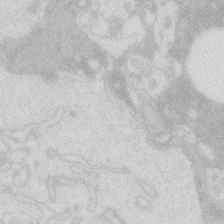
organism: Zebrafish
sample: Macrophage